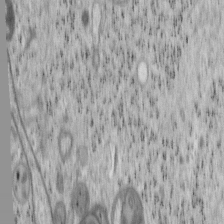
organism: Human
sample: HeLa cells